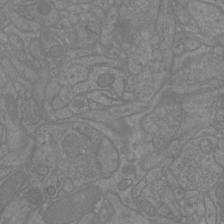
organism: Mouse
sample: Cortical neurons